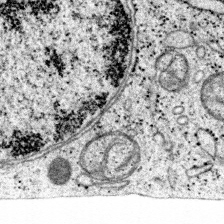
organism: Human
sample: HeLa cells